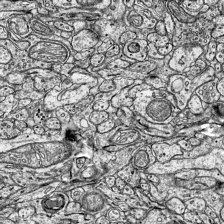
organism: Mouse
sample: Visual Cortex